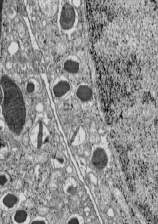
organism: C57BL Mouse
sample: Pancreatic islet